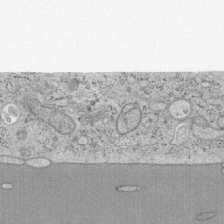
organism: Human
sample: HeLa cells